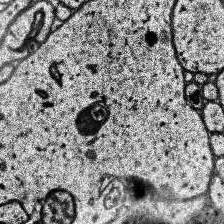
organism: Human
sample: Temporal Lobe